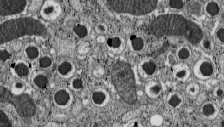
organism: C57BL Mouse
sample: Pancreatic islet